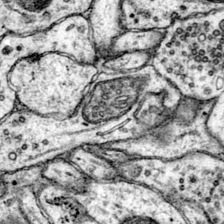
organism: Mouse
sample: Primary visual cortex